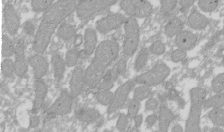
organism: Xenopus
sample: Cilia; centrioles in frog embryo cells